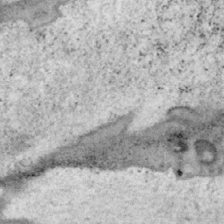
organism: Mouse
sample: OT-I killer T cells with ID8 ovarian cancer cells